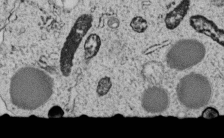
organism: C. elegans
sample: C. elegans embryo early stage